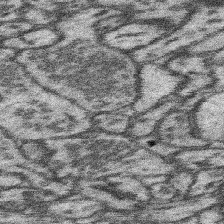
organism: Mouse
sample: Somatosensory cortex neuropil